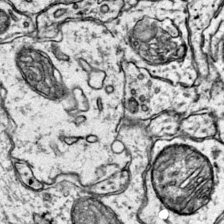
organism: Mouse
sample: Primary visual cortex